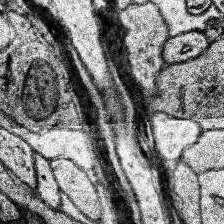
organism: Human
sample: Temporal Lobe